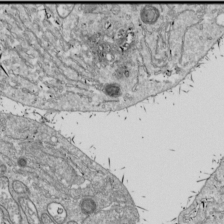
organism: Drosophila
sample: Cell division; meiosis; drosophila spermatocytes